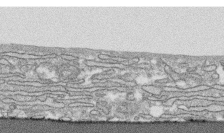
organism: Human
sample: CRL-1474